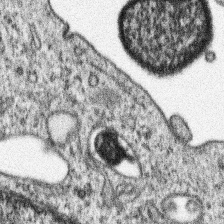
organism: Human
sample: HeLa cells